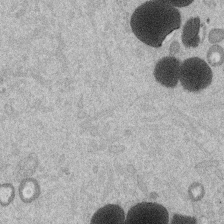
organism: Mouse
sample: Dividing mouse embryo 1 cell stage